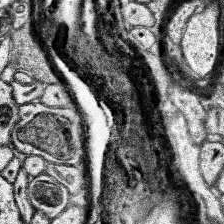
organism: Human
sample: Temporal Lobe